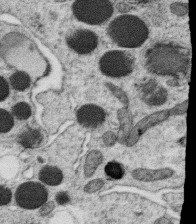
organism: C. elegans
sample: C. elegans oocyte; sperm cells